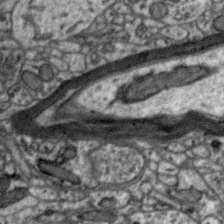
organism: Zebra finch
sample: Brain